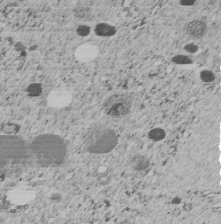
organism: C. elegans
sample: C. elegans embryo early stage